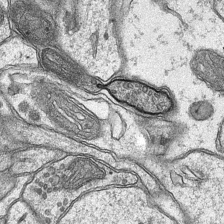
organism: Mouse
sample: CA1 Hippocampus